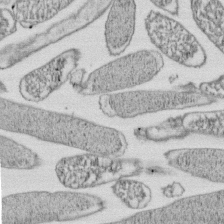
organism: E. coli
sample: Bacterial nucleoid